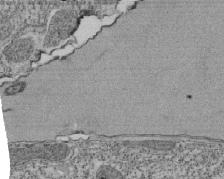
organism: Tetrahymena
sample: Cilia in tetrahymena